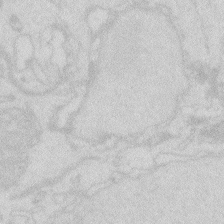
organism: Zebrafish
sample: Macrophage